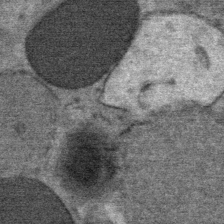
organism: Mouse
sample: Mouse Salivary gland